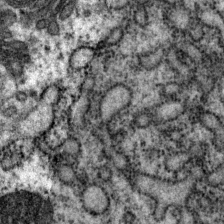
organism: P. pacificus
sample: Pharynx